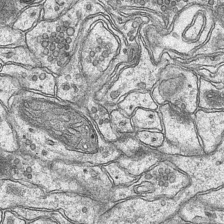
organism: Mouse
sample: CA1 Hippocampus